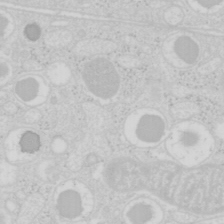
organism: Mouse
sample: Pancreas